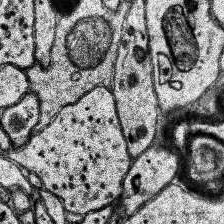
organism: Human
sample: Temporal Lobe